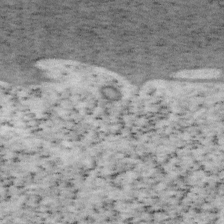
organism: Mouse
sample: OT-I killer T cells with ID8 ovarian cancer cells